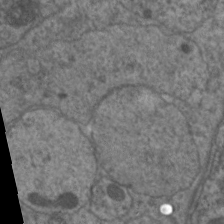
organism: C. elegans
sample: Pharynx